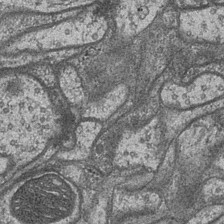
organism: Drosophila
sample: Optic medulla